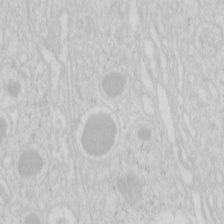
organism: Mouse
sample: Pancreas